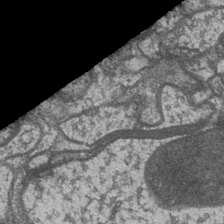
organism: Drosophila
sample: Optic medulla